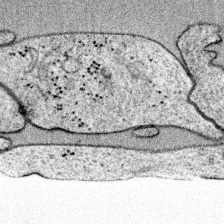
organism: Human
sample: HeLa cells